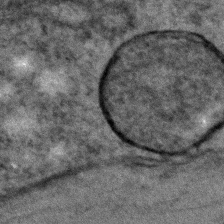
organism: C. elegans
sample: C. elegans embryo